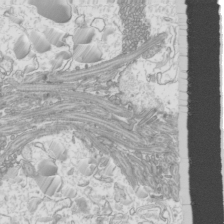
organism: Mouse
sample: Cilia; mouse epididymis